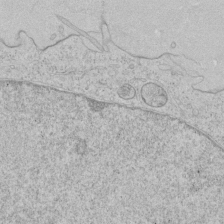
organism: Human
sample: Mitochondria in HCT116 cells